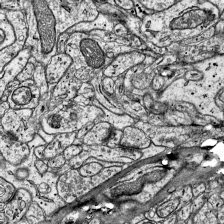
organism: Mouse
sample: Visual Cortex